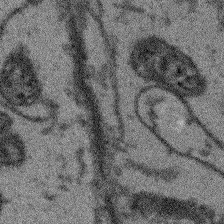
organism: Arabidopsis thaliana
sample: Root tip